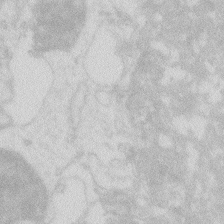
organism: Zebrafish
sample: Macrophage